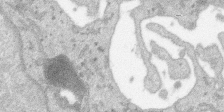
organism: Human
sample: Lung epithelial cells infected with SARS-CoV-2